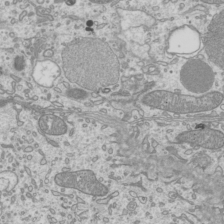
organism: Mouse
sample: Cilia; mouse epididymis